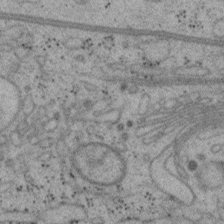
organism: Human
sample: HeLa cells